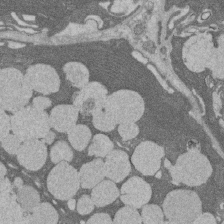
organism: Rat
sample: Salivary granule